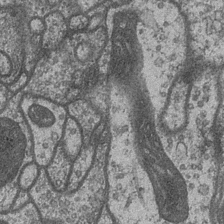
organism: Drosophila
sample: Optic medulla